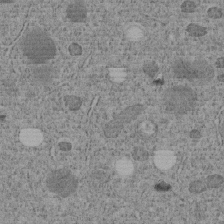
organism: C. elegans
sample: C. elegans embryo early stage